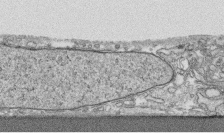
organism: Human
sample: CRL-1474